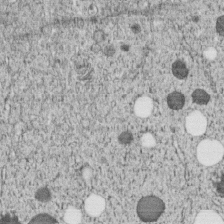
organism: C. elegans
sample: C. elegans embryo early stage